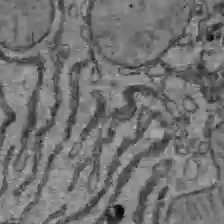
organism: C57BL Mouse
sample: Liver